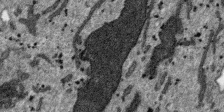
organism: Human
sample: Lung epithelial cells, uninfected (mock) control